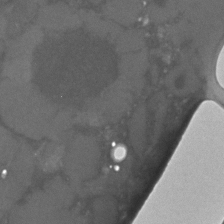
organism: C. elegans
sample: C. elegans embryo